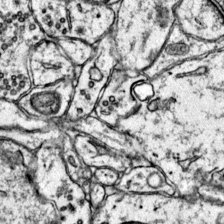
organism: Mouse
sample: Primary visual cortex